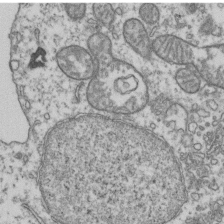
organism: Human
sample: Activated Jurkat CD4+ T cells